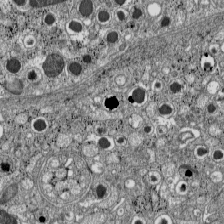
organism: C57BL Mouse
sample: Pancreatic islet